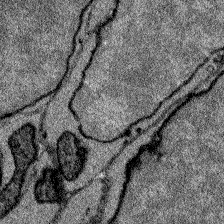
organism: Zebrafish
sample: Larval olfactory bulb